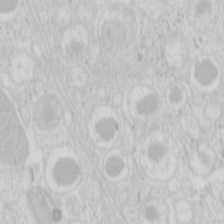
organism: Mouse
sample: Pancreas